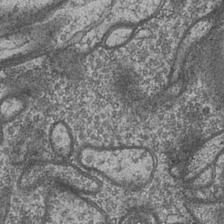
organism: Drosophila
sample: Optic medulla